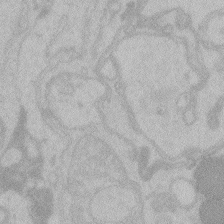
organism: Zebrafish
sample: Macrophage infected with Toxoplasma gondii